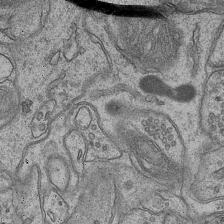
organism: Mouse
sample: CA1 Hippocampus